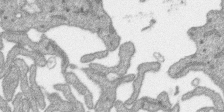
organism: Human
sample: Lung epithelial cells infected with SARS-CoV-2